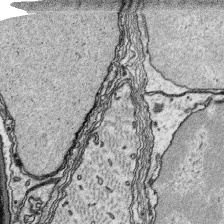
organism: Platynereis dumerilii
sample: Parapodia